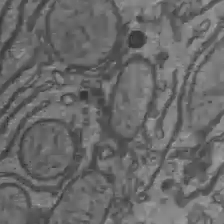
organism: C57BL Mouse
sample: Liver